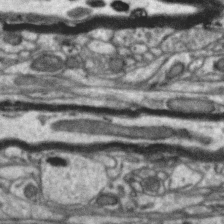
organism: Zebra finch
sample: Brain